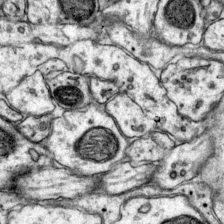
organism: Mouse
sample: Primary visual cortex